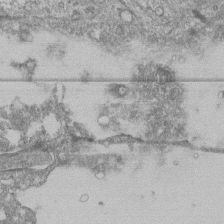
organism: Human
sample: Fibroblast cells